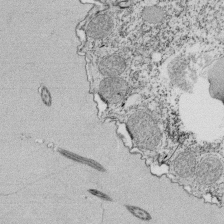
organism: Tetrahymena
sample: Cilia in tetrahymena